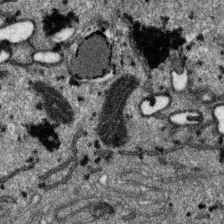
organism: Human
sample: Lung epithelial cells infected with SARS-CoV-2